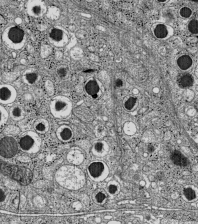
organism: C57BL Mouse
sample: Pancreatic islet